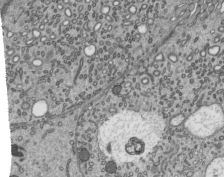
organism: Mouse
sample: Mouse epididymis efferent ductule cilia